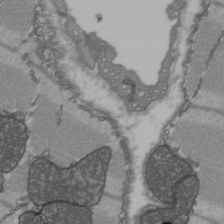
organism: C57BL Mouse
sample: Heart